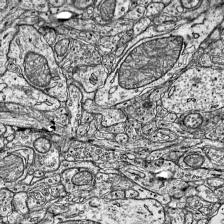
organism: Mouse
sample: Visual Cortex